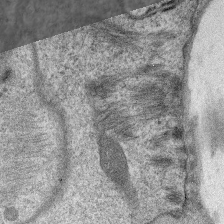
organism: C. elegans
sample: Pharynx